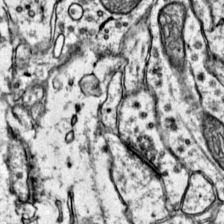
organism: Mouse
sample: Primary visual cortex